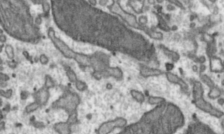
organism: Toxoplasma gondii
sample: Parasites in a vacuole inside a host cell